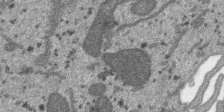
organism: Human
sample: Lung epithelial cells infected with SARS-CoV-2